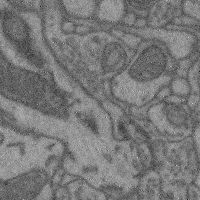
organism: Mouse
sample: Cerebral cortex